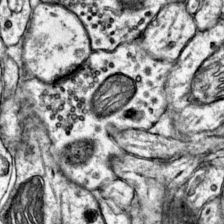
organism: Mouse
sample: Primary visual cortex